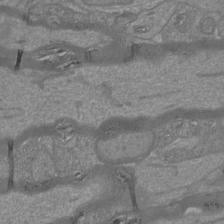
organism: Mouse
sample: Cortical neurons